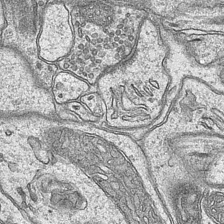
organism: Mouse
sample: CA1 Hippocampus